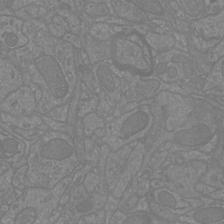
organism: Mouse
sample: Cortical neurons